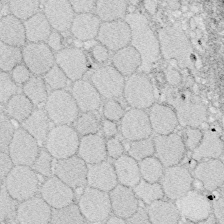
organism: Zebrafish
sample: Whole-Brain